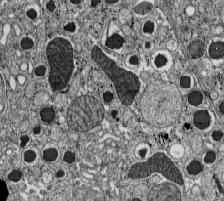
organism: C57BL Mouse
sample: Pancreatic islet